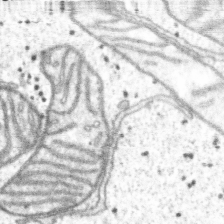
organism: Human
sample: HeLa cells